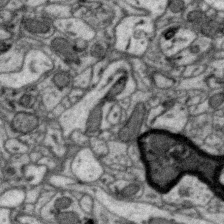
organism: Zebra finch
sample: Brain